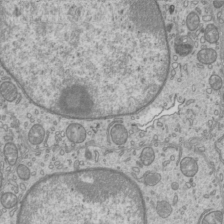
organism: Mouse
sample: Cilia; mouse epididymis